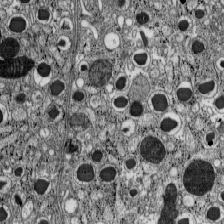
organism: C57BL Mouse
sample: Pancreatic islet